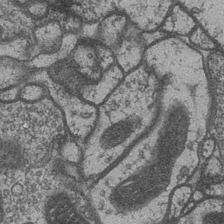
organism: Drosophila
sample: Optic medulla